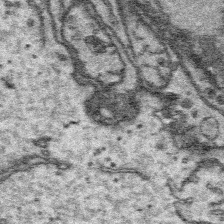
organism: Platynereis dumerilii